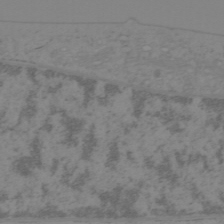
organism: Human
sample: HeLa cells